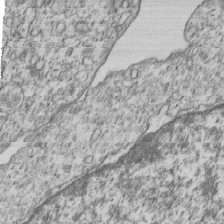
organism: Human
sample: MDA-MB-231 cells